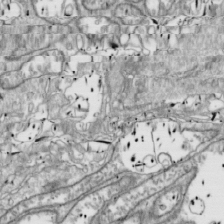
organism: Drosophila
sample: Cell division; meiosis; drosophila spermatocytes